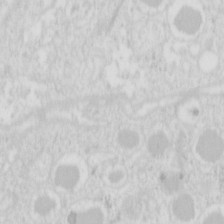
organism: Mouse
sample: Pancreas